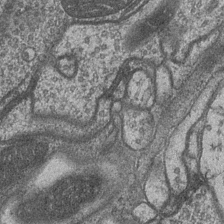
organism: Drosophila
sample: Optic medulla